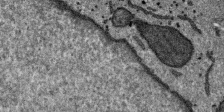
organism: Human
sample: Lung epithelial cells, uninfected (mock) control